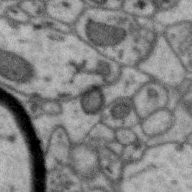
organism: Zebra finch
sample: Brain